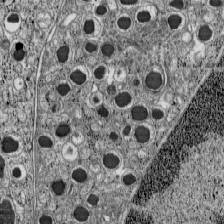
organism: C57BL Mouse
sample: Pancreatic islet